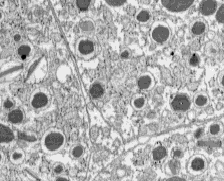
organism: C57BL Mouse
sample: Pancreatic islet